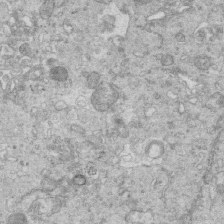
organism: Mouse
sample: Multiciliated cells